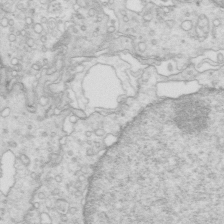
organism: Mouse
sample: Multiciliated cells